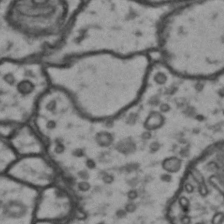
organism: Drosophila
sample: Brain